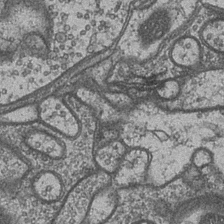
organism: Drosophila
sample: Optic medulla